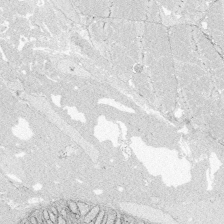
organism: Zebrafish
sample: Whole-Brain